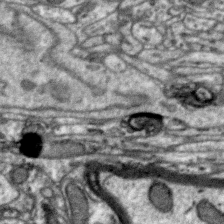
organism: Zebra finch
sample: Brain